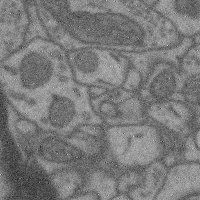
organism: Mouse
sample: Cerebral cortex